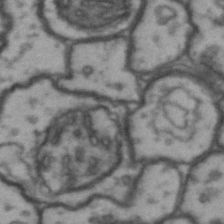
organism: Drosophila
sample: Brain